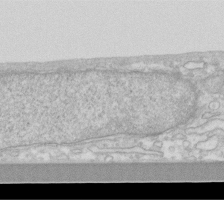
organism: Human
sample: Fibroblast cells